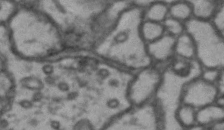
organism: Drosophila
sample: Brain